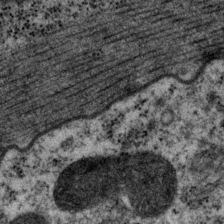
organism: P. pacificus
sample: Pharynx